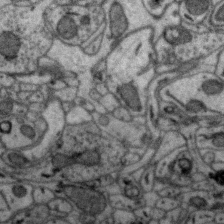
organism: Zebra finch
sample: Brain